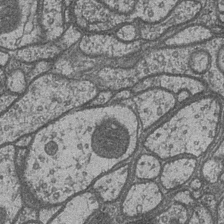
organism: Drosophila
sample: Optic medulla